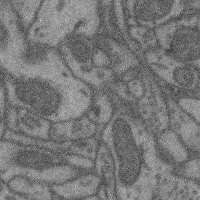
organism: Mouse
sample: Cerebral cortex